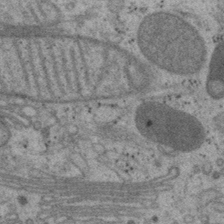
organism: Human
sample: HeLa cells